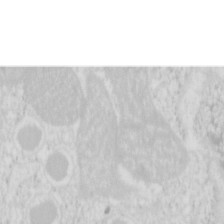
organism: Mouse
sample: Pancreas